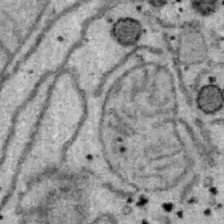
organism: Mouse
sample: Liver from an obese (ob/ob) mouse